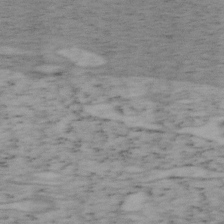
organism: Mouse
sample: OT-I killer T cells with ID8 ovarian cancer cells